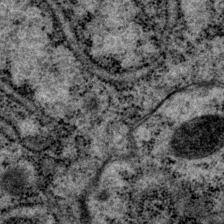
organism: P. pacificus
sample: Pharynx